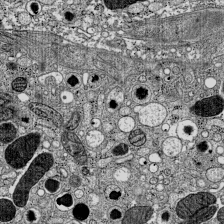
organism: C57BL Mouse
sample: Pancreatic islet